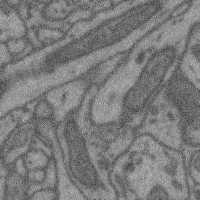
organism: Mouse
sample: Cerebral cortex